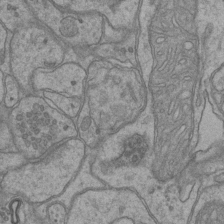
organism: Mouse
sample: CA1 Hippocampus